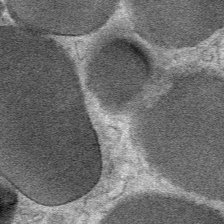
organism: Mouse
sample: Mouse Salivary gland